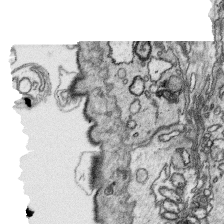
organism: Platynereis dumerilii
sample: Parapodia